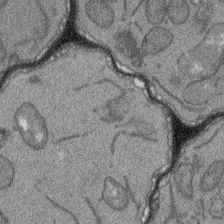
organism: Arabidopsis thaliana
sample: Root tip